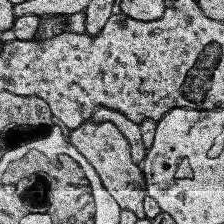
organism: Human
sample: Temporal Lobe